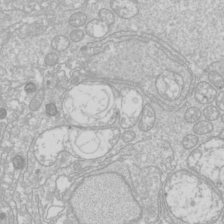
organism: Drosophila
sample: Cell division; meiosis; drosophila spermatocytes